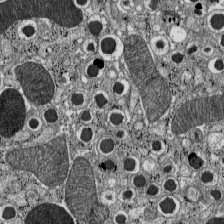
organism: C57BL Mouse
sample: Pancreatic islet